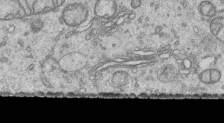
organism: Human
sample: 1205lu cells